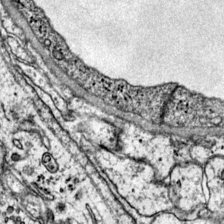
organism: Mouse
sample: Primary visual cortex